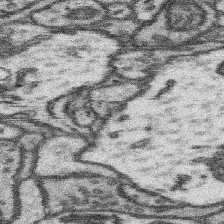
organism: Mouse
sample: Somatosensory cortex neuropil